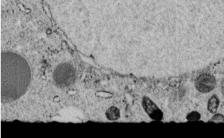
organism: C. elegans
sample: C. elegans embryo early stage